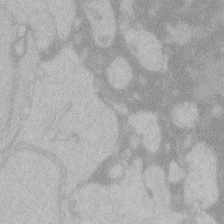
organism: Zebrafish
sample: Macrophage infected with Toxoplasma gondii